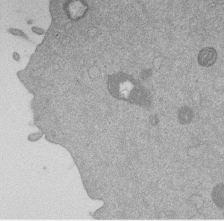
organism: Mouse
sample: Dividing mouse embryo 1 cell stage